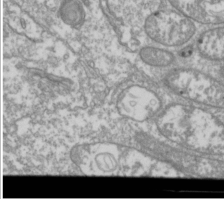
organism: Drosophila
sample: Cell division; meiosis; drosophila spermatocytes